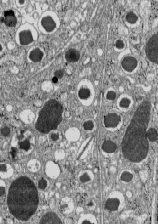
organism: C57BL Mouse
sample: Pancreatic islet